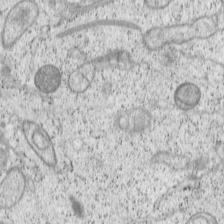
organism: African green monkey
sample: COS-7 cells